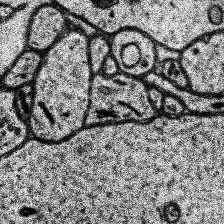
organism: Human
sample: Temporal Lobe